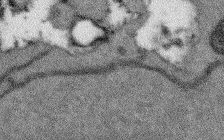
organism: Arabidopsis thaliana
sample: Root tip